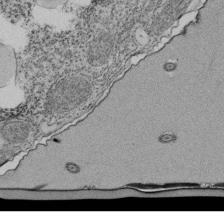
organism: Tetrahymena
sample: Cilia in tetrahymena